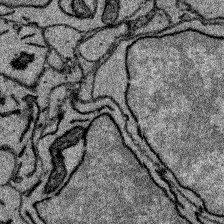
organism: Zebrafish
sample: Larval olfactory bulb